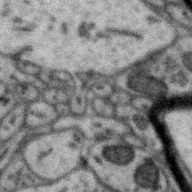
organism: Zebra finch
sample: Brain